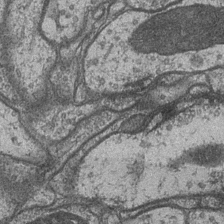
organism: Drosophila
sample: Optic medulla